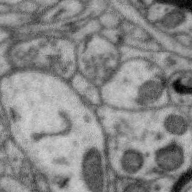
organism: Zebra finch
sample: Brain